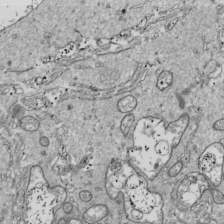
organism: Drosophila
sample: Cell division; meiosis; drosophila spermatocytes